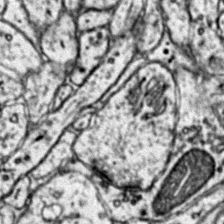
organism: Mouse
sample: Primary visual cortex